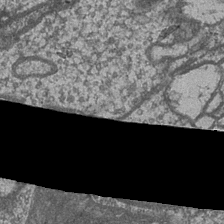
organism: Drosophila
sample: Optic medulla